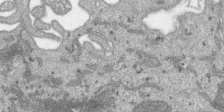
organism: Human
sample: Lung epithelial cells infected with SARS-CoV-2